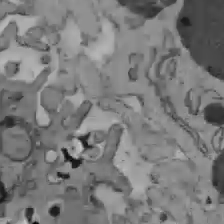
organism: C57BL Mouse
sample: Liver